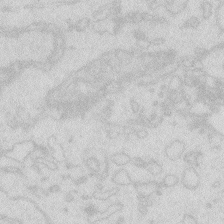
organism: Zebrafish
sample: Macrophage